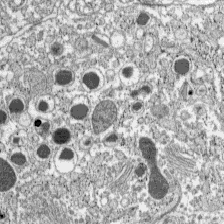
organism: C57BL Mouse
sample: Pancreatic islet